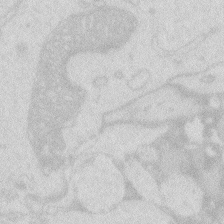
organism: Zebrafish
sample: Macrophage